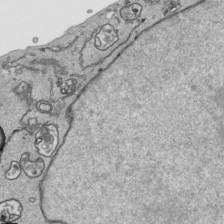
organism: Human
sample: Mitochondria in HCT116 cells